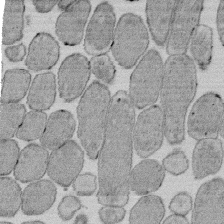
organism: E. coli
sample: Bacterial nucleoid